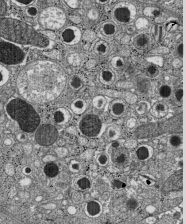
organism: C57BL Mouse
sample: Pancreatic islet